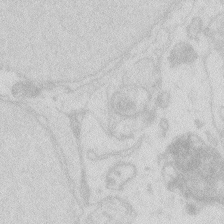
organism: Zebrafish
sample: Macrophage